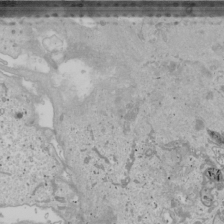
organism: Human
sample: Mitochondria in U2OS cells